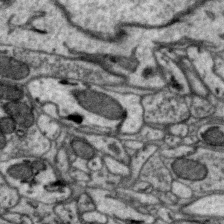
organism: Zebra finch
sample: Brain